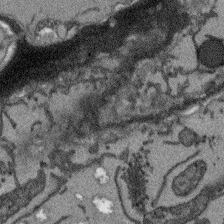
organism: Arabidopsis thaliana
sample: Root tip